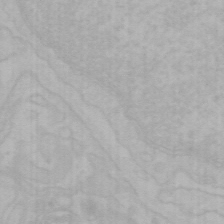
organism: Mouse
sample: Choroid plexus